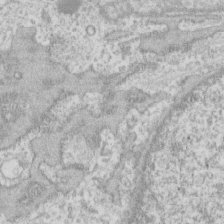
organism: Human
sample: Fibroblast cells